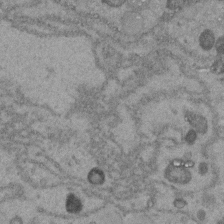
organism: C. elegans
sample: C. elegans embryo early stage